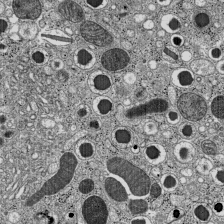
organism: C57BL Mouse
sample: Pancreatic islet